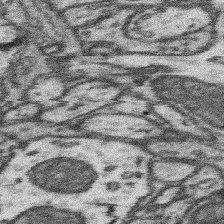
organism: Mouse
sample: Somatosensory cortex neuropil